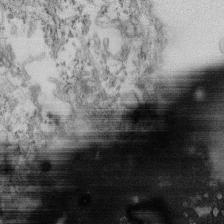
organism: Mouse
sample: Cilia; retinal pigment epithelium